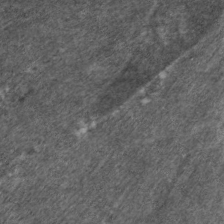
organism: C. elegans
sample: Pharynx